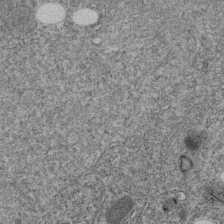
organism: C. elegans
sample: C. elegans embryo early stage